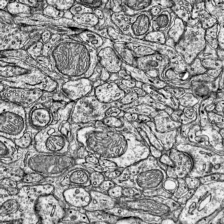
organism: Mouse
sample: Visual Cortex